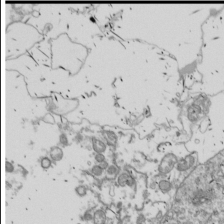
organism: Drosophila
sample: Cell division; meiosis; drosophila spermatocytes